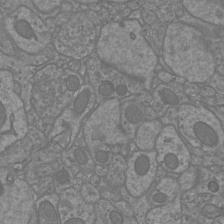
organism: Mouse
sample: Cortical neurons